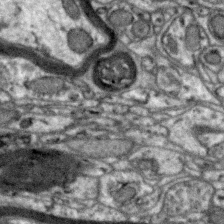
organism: Zebra finch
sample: Brain